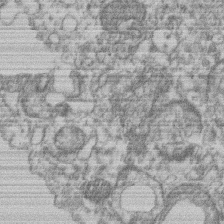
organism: Mouse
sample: T cell stromal cell synapse